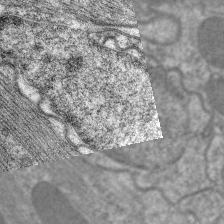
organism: C. elegans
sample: Pharynx